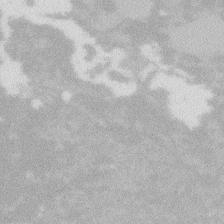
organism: Zebrafish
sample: Macrophage